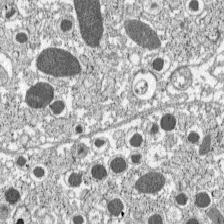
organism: C57BL Mouse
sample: Pancreatic islet